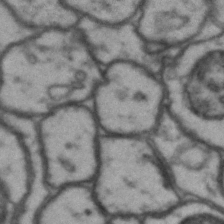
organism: Drosophila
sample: Brain